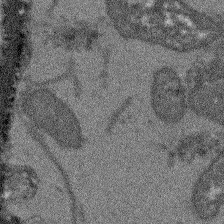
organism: Arabidopsis thaliana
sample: Root tip